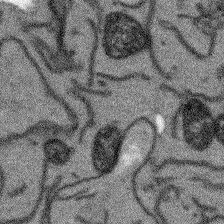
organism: Arabidopsis thaliana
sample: Root tip